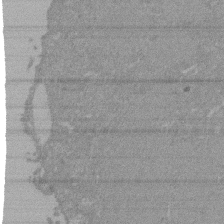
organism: Mouse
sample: ED-1 cell nuclei; centrioles